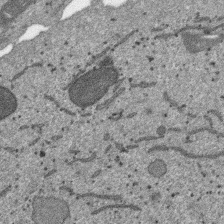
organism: Human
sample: Lung epithelial cells infected with SARS-CoV-2